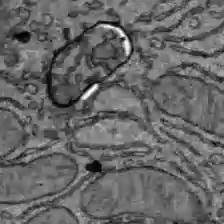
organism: C57BL Mouse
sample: Liver